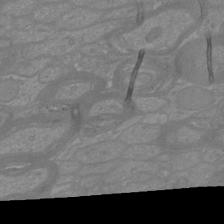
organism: Mouse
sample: Cortical neurons